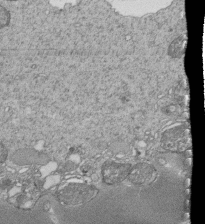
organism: Tetrahymena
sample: Cilia in tetrahymena